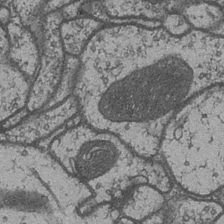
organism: Drosophila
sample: Optic medulla